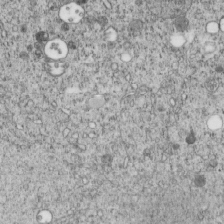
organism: C. elegans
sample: C. elegans embryo early stage